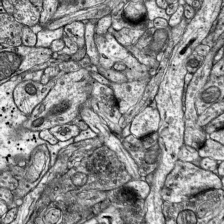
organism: Mouse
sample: Visual Cortex